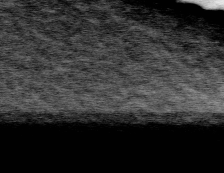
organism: Human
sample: HeLa cells